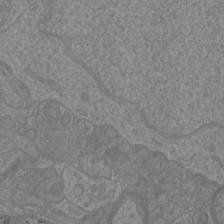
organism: Mouse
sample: Cortical neurons